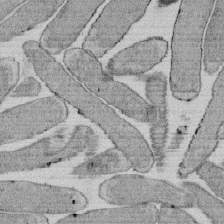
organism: E. coli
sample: Bacterial nucleoid